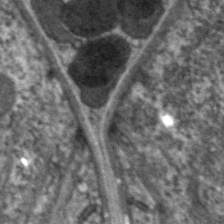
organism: C. elegans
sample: Pharynx